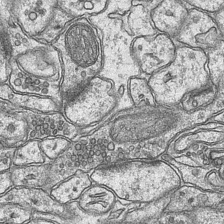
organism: Mouse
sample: CA1 Hippocampus